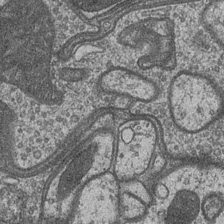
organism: Drosophila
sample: Optic medulla